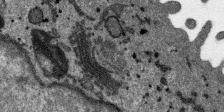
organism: Human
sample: Lung epithelial cells, uninfected (mock) control